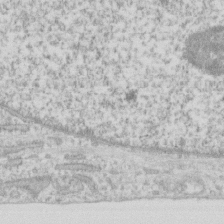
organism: Human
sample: Fibroblast cells